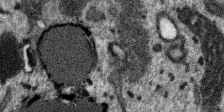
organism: Human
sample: Lung epithelial cells infected with SARS-CoV-2